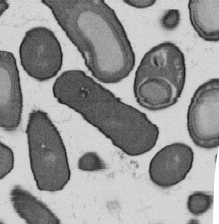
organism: B. subtilis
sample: Bacterial spore